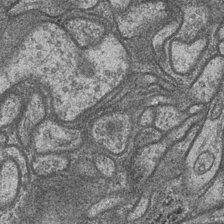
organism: Drosophila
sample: Optic medulla